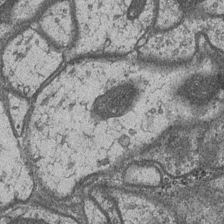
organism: Drosophila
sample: Optic medulla